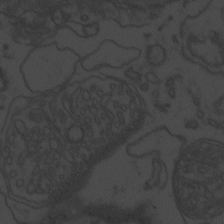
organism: Zebrafish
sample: Macrophage infected with Toxoplasma gondii